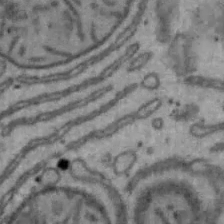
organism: Mouse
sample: Liver